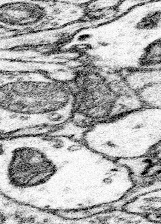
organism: Mouse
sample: Somatosensory cortex neuropil